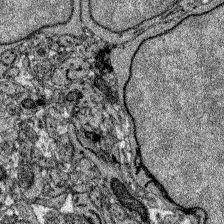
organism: Zebrafish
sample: Larval olfactory bulb